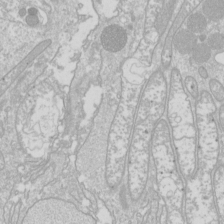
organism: Drosophila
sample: Cell division; meiosis; drosophila spermatocytes